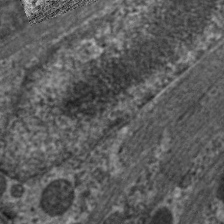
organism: C. elegans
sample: Pharynx